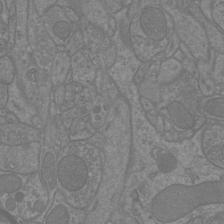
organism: Mouse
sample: Cortical neurons